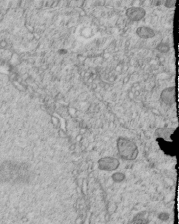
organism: C. elegans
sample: C. elegans embryo early stage